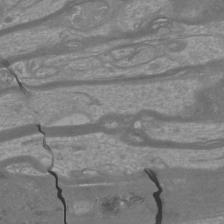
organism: Mouse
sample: Cortical neurons